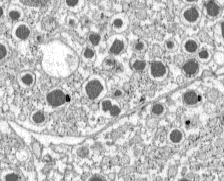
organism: C57BL Mouse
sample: Pancreatic islet